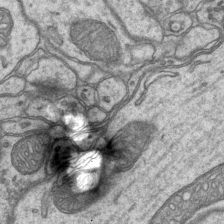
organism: Mouse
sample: CA1 Hippocampus